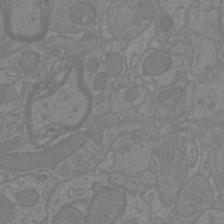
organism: Mouse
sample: Cortical neurons